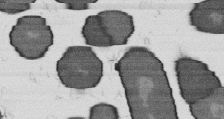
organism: B. subtilis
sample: Bacterial spore